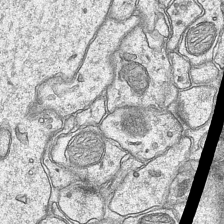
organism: Mouse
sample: CA1 Hippocampus